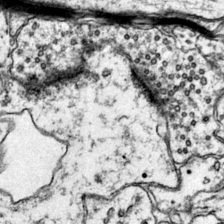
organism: Mouse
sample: Primary visual cortex